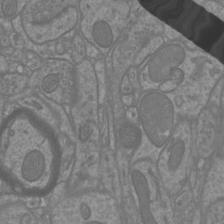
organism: Mouse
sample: Cortical neurons